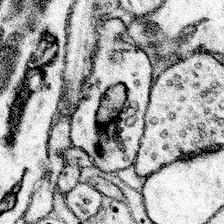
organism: Mouse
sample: Somatosensory cortex neuropil